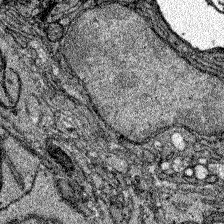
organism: Zebrafish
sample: Larval olfactory bulb